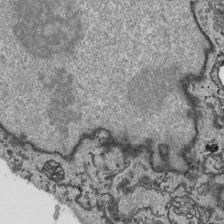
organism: Human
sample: Mitochondria in HCT116 cells